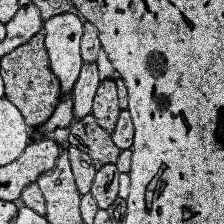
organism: Human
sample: Temporal Lobe